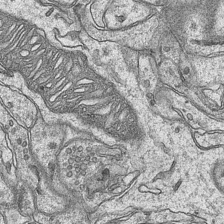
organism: Mouse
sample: CA1 Hippocampus